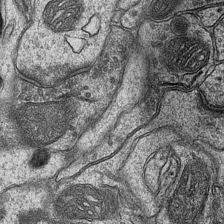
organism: Mouse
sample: CA1 Hippocampus